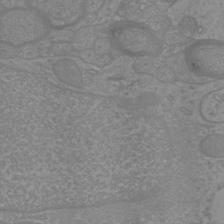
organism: Mouse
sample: Cortical neurons